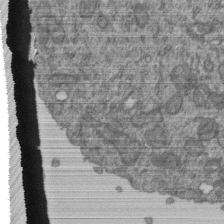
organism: Human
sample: Retinal organoid Rod and Cone cells